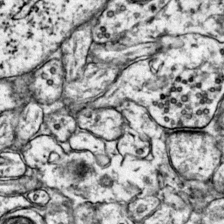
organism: Mouse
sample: Primary visual cortex